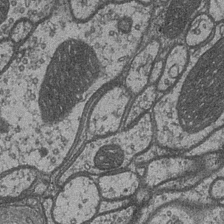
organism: Drosophila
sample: Optic medulla